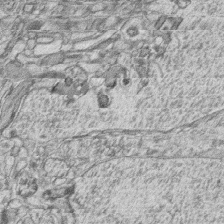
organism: Zebrafish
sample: synaptic ribbons in rod cells and cone cells